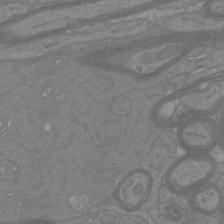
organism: Mouse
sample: Cortical neurons